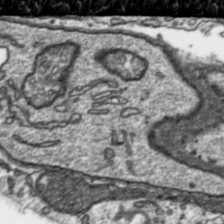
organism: Toxoplasma gondii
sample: Parasites in a vacuole inside a host cell